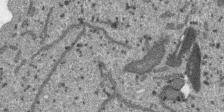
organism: Human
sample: Lung epithelial cells infected with SARS-CoV-2